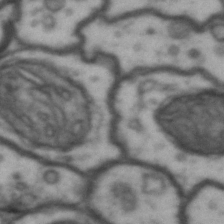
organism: Drosophila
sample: Brain